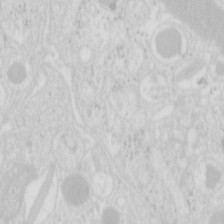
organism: Mouse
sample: Pancreas